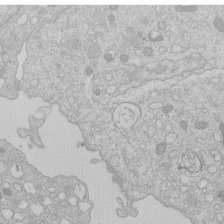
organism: Human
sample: Macrophage cells